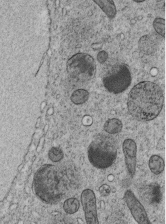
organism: C. elegans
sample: C. elegans embryo early stage